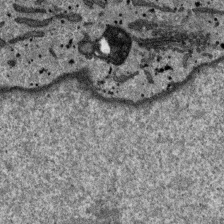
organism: Human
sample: Lung epithelial cells, uninfected (mock) control